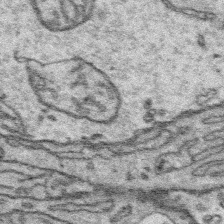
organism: Platynereis dumerilii